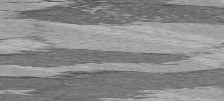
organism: C57BL Mouse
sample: Heart